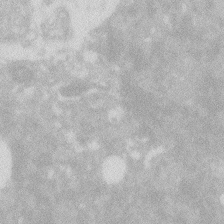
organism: Zebrafish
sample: Macrophage